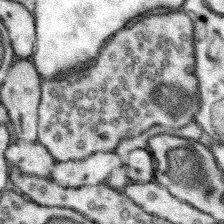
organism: Mouse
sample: Somatosensory cortex neuropil